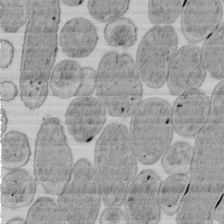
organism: E. coli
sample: Bacterial nucleoid